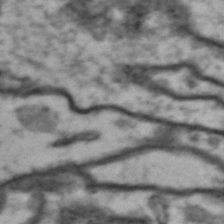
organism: Drosophila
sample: Brain